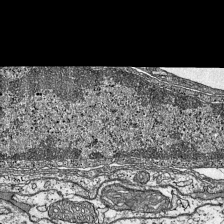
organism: Mouse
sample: Visual Cortex